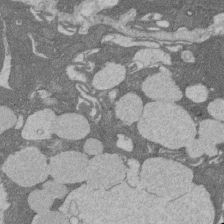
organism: Rat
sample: Salivary granule